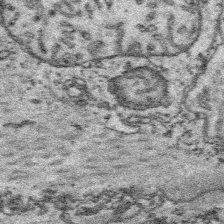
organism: Platynereis dumerilii